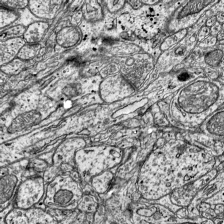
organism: Mouse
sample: Visual Cortex